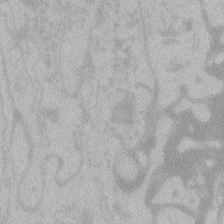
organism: Zebrafish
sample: Macrophage infected with Toxoplasma gondii